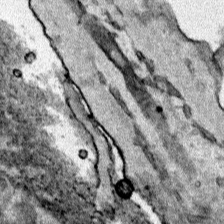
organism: Human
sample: Mitochondria in HCT116 cells